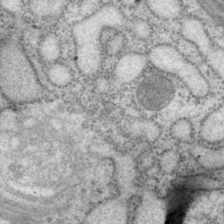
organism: P. pacificus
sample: Pharynx